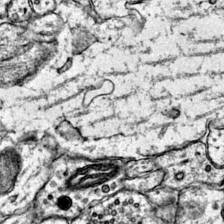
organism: Mouse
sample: Primary visual cortex